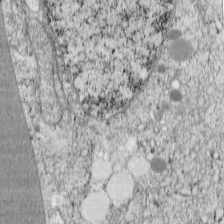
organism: African green monkey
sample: COS-7 cells